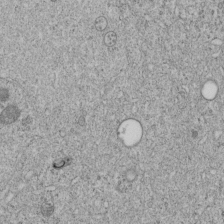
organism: C. elegans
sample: C. elegans embryo early stage